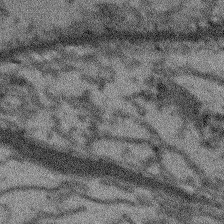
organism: Arabidopsis thaliana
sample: Root tip